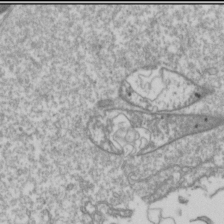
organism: Drosophila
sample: Cell division; meiosis; drosophila spermatocytes